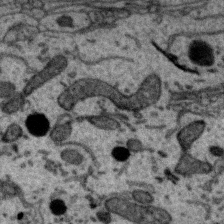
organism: Zebra finch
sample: Brain